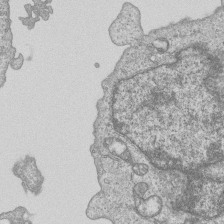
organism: Human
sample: MDA-MB-231 cells